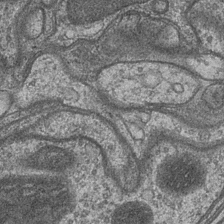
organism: Drosophila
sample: Optic medulla